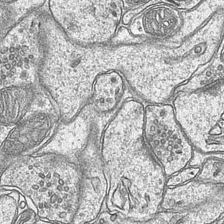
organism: Mouse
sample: CA1 Hippocampus